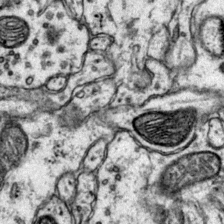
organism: Mouse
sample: Primary visual cortex